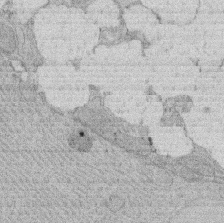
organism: Rat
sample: Salivary granule